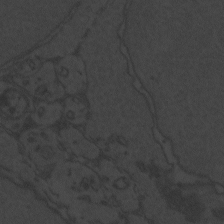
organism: Zebrafish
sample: Macrophage infected with Toxoplasma gondii